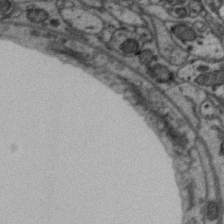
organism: Zebra finch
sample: Brain